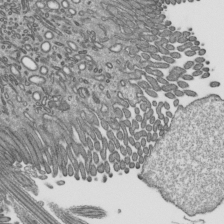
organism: Mouse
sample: Mouse epididymis efferent ductule cilia